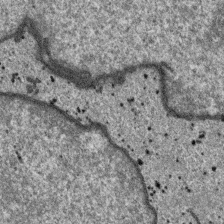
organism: Human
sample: Lung epithelial cells, uninfected (mock) control